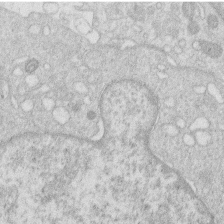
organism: Human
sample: Macrophage cells